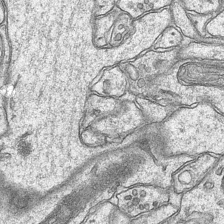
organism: Mouse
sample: CA1 Hippocampus